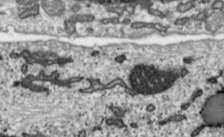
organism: Toxoplasma gondii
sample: Parasites in a vacuole inside a host cell